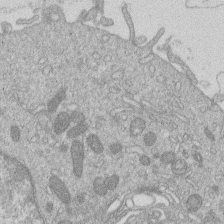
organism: Human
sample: Macrophage cells